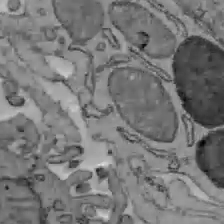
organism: C57BL Mouse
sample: Liver